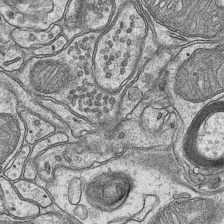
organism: Mouse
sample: CA1 Hippocampus